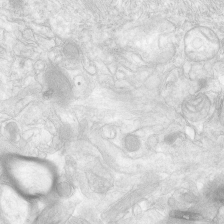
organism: Human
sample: Neocortex